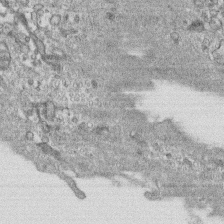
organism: Human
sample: CRL-1474